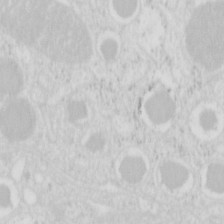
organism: Mouse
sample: Pancreas